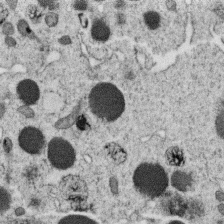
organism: C. elegans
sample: C. elegans oocyte; sperm cells